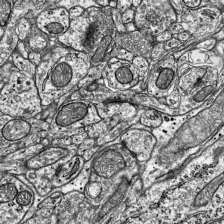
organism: Mouse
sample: Visual Cortex